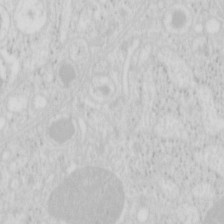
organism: Mouse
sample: Pancreas